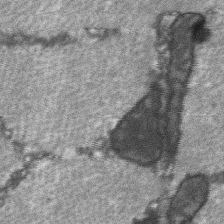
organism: C57BL Mouse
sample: Soleus